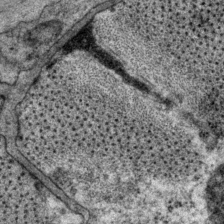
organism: P. pacificus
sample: Pharynx